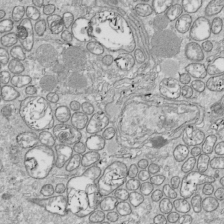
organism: Drosophila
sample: Cell division; meiosis; drosophila spermatocytes